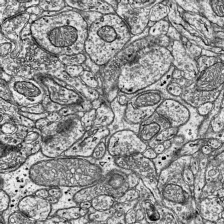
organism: Mouse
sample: Visual Cortex